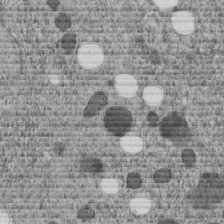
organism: C. elegans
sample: C. elegans embryo early stage